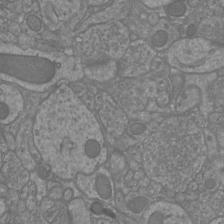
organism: Mouse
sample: Cortical neurons